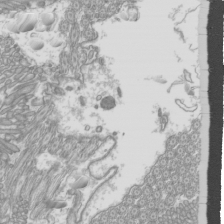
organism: Mouse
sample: Cilia; mouse epididymis